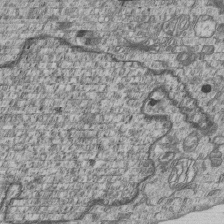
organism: Human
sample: MDA-MB-231 cells